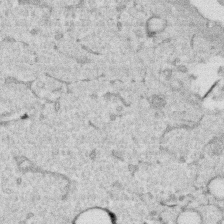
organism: Human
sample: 1205lu cells